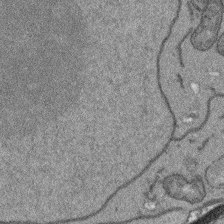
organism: Arabidopsis thaliana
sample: Root tip